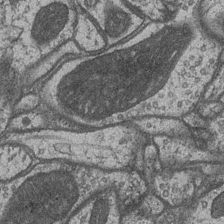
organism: Drosophila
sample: Optic medulla